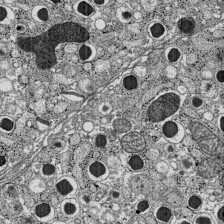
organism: C57BL Mouse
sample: Pancreatic islet